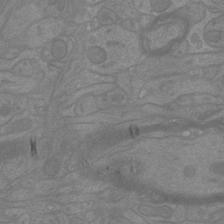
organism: Mouse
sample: Cortical neurons